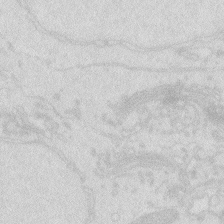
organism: Zebrafish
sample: Macrophage